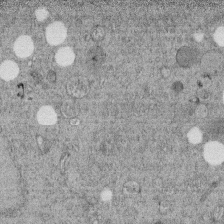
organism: C. elegans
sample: C. elegans embryo early stage